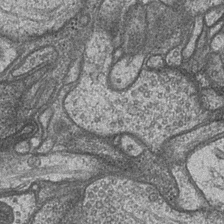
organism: Drosophila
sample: Optic medulla